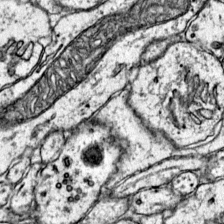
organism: Mouse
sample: Primary visual cortex